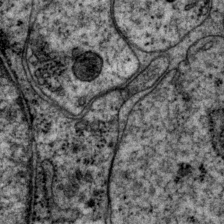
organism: P. pacificus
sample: Pharynx